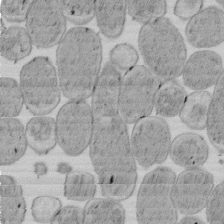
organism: E. coli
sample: Bacterial nucleoid